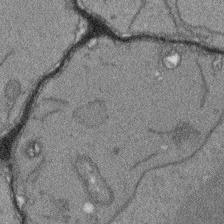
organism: Arabidopsis thaliana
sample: Root tip